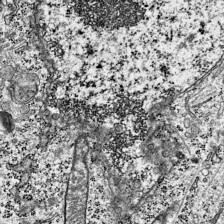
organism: Mouse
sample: Visual Cortex